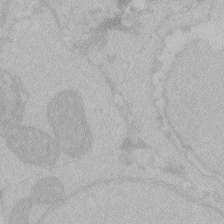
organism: Zebrafish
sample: Macrophage infected with Toxoplasma gondii